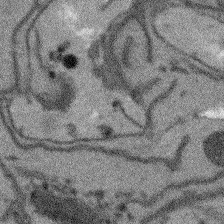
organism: Arabidopsis thaliana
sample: Root tip